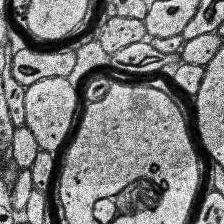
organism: Human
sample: Temporal Lobe